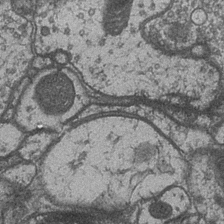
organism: Drosophila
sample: Optic medulla